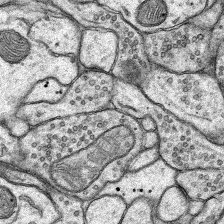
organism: Rat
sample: Hippocampus